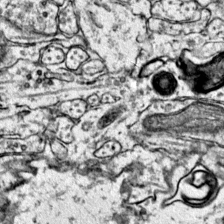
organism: Mouse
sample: Primary visual cortex